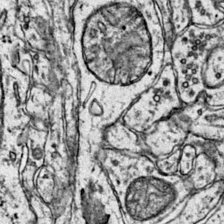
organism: Mouse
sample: Primary visual cortex